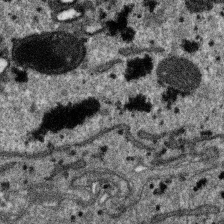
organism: Human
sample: Lung epithelial cells infected with SARS-CoV-2